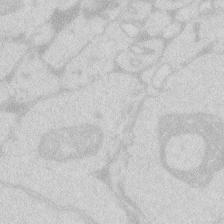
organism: Zebrafish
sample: Macrophage